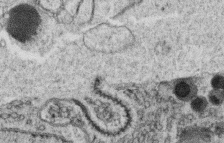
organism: C. elegans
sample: C. elegans oocyte; sperm cells